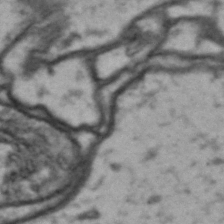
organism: Drosophila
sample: Brain